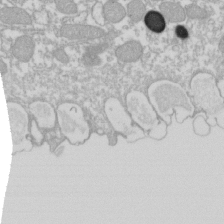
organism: Xenopus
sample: Cilia; centrioles in frog embryo cells